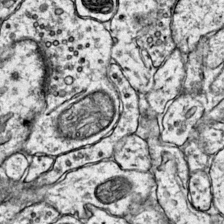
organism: Mouse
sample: Primary visual cortex